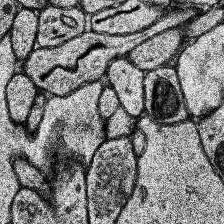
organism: Human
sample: Temporal Lobe